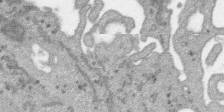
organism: Human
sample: Lung epithelial cells infected with SARS-CoV-2